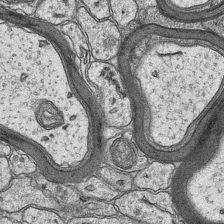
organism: Mouse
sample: CA1 Hippocampus